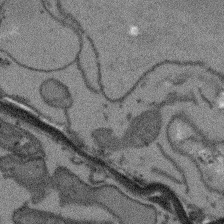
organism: Arabidopsis thaliana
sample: Root tip